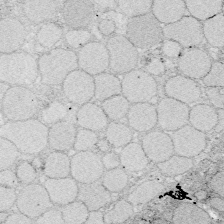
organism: Zebrafish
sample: Whole-Brain